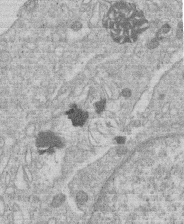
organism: Human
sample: Macrophage cells